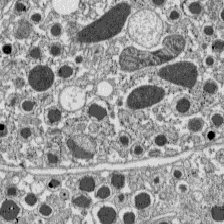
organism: C57BL Mouse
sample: Pancreatic islet